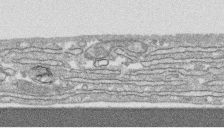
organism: Human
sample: CRL-1474